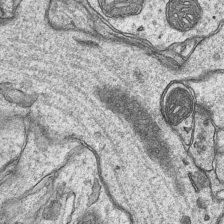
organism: Mouse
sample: CA1 Hippocampus